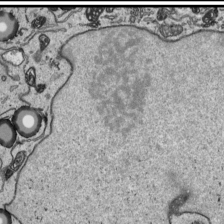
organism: Human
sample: Mitochondria in HCT116 cells